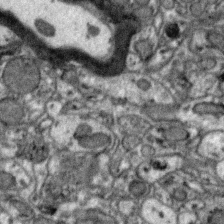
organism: Zebra finch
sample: Brain